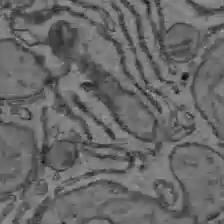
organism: C57BL Mouse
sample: Liver